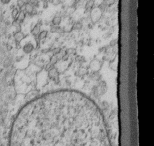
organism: Mouse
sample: Cilia; retinal pigment epithelium